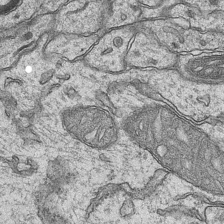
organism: Mouse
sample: CA1 Hippocampus